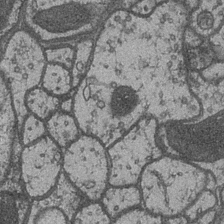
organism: Drosophila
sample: Optic medulla